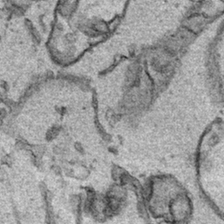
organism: Human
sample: Mitochondria in HCT116 cells